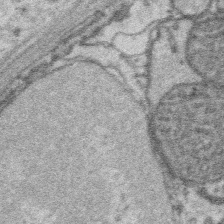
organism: Platynereis dumerilii